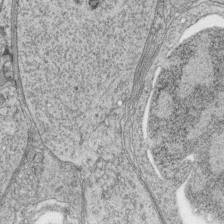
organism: Zebrafish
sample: synaptic ribbons in rod cells and cone cells